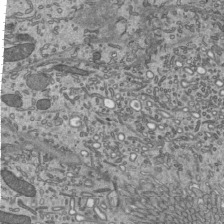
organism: Mouse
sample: Mouse epididymis efferent ductule cilia